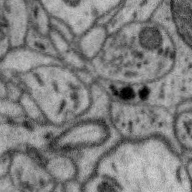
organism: Zebra finch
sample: Brain